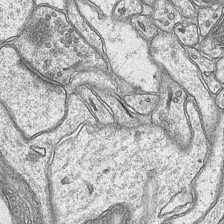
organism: Mouse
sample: CA1 Hippocampus